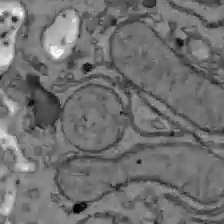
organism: C57BL Mouse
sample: Liver